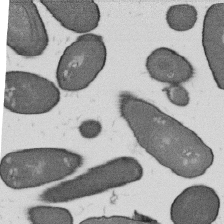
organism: B. subtilis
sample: Bacterial spore